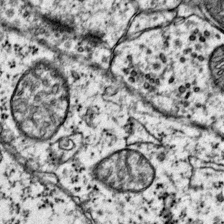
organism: Mouse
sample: Primary visual cortex